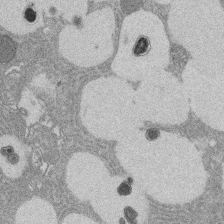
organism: Rat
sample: Salivary granule